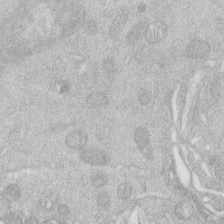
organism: Human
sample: Macrophage cells